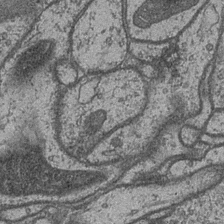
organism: Drosophila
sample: Optic medulla